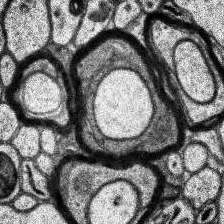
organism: Human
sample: Temporal Lobe